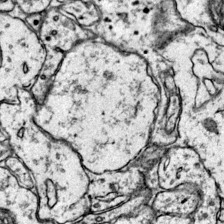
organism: Mouse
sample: Primary visual cortex